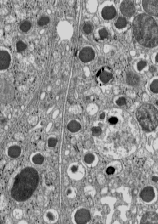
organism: C57BL Mouse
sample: Pancreatic islet